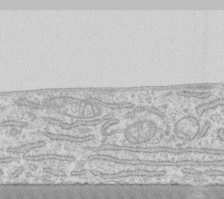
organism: Human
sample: Fibroblast cells